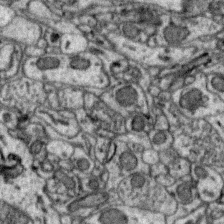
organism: Zebra finch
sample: Brain